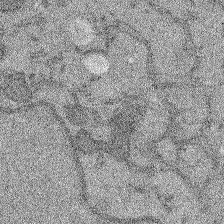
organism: Human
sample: HeLa cells